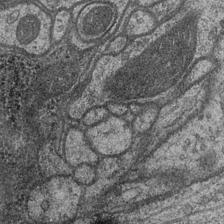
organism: Drosophila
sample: Optic medulla